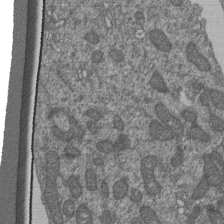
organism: Human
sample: Retinal organoid Rod and Cone cells